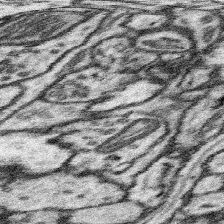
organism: Mouse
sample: Somatosensory cortex neuropil